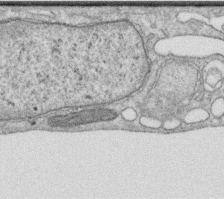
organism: Human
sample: Centriole in RPE cells